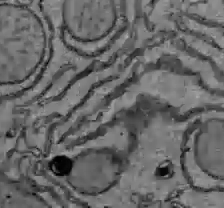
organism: C57BL Mouse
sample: Liver